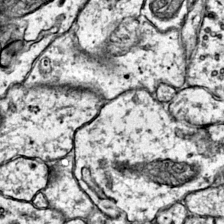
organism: Mouse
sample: Primary visual cortex